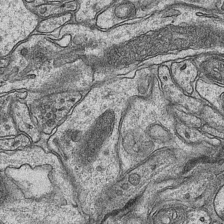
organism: Mouse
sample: CA1 Hippocampus